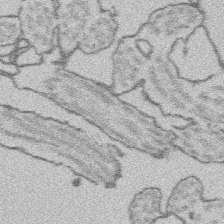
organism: Platynereis dumerilii